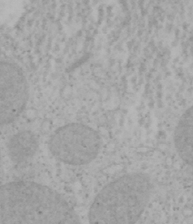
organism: Mouse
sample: OT-I killer T cells with ID8 ovarian cancer cells